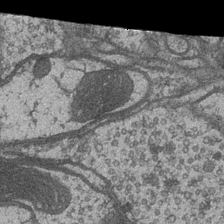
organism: Drosophila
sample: Optic medulla